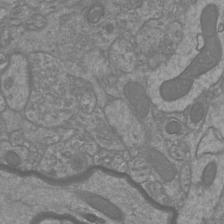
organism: Mouse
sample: Cortical neurons